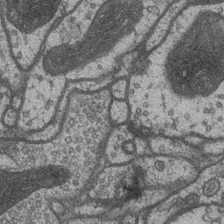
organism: Drosophila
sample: Optic medulla